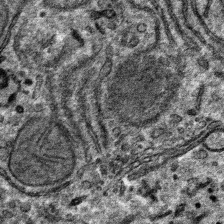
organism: Mouse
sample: Mouse hepatocytes